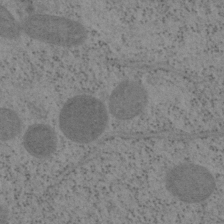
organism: Mouse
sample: OT-I killer T cells with ID8 ovarian cancer cells